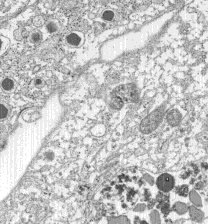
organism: C57BL Mouse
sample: Pancreatic islet